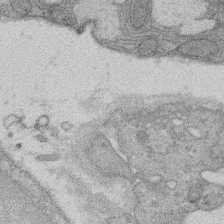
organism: Rat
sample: Salivary granule